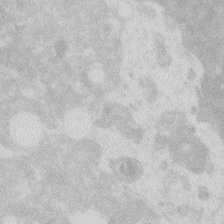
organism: Zebrafish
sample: Macrophage